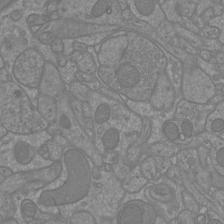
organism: Mouse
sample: Cortical neurons